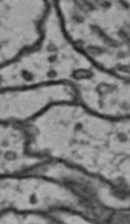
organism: Drosophila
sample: Brain